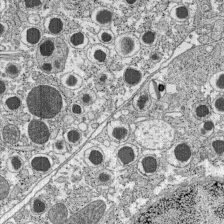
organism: C57BL Mouse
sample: Pancreatic islet